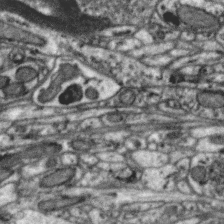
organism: Zebra finch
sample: Brain